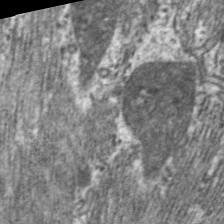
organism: C. elegans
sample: Pharynx